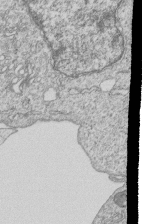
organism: Human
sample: MDA-MB-231 cells